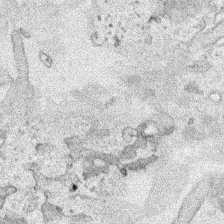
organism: Human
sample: Mitochondria in HCT116 cells